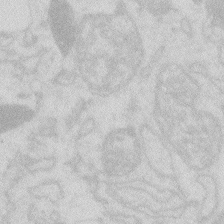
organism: Zebrafish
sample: Macrophage